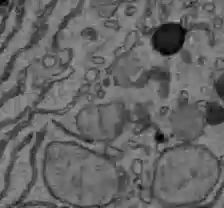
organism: C57BL Mouse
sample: Liver